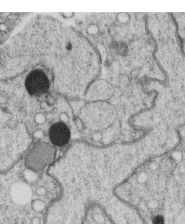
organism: C. elegans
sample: C. elegans oocyte; sperm cells